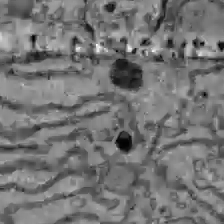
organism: C57BL Mouse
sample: Liver